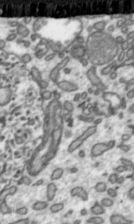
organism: Toxoplasma gondii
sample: Parasites in a vacuole inside a host cell